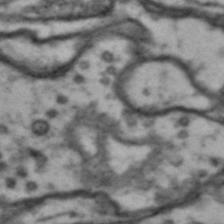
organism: Drosophila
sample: Brain